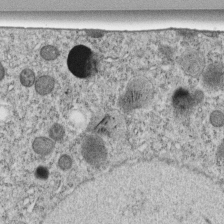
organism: C. elegans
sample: C. elegans embryo early stage